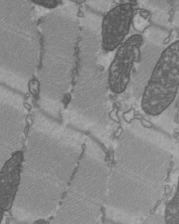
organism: C57BL Mouse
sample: Heart